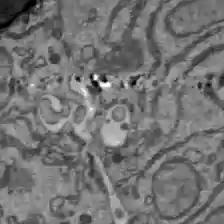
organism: C57BL Mouse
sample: Liver